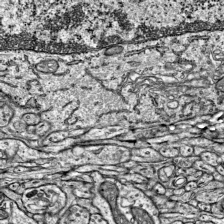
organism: Mouse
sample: Visual Cortex